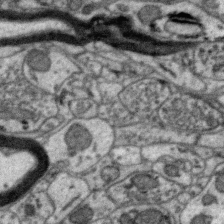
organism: Zebra finch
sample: Brain